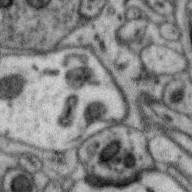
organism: Zebra finch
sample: Brain